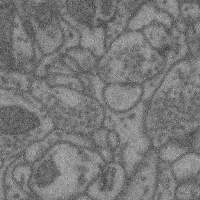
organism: Mouse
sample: Cerebral cortex